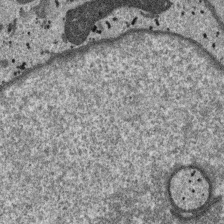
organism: Human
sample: Lung epithelial cells, uninfected (mock) control